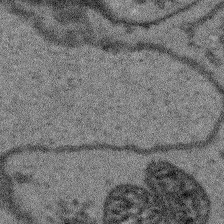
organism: Arabidopsis thaliana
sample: Root tip